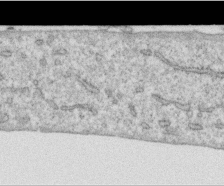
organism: Human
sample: Centriole in RPE cells